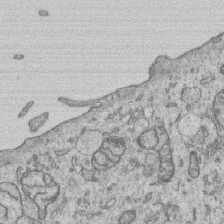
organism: Human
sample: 1205lu cells